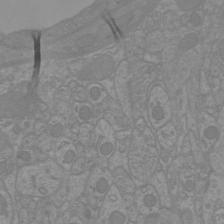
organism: Mouse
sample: Cortical neurons